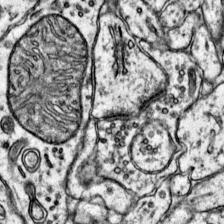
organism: Mouse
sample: Primary visual cortex